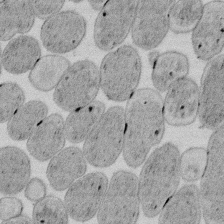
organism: E. coli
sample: Bacterial nucleoid